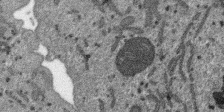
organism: Human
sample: Lung epithelial cells infected with SARS-CoV-2